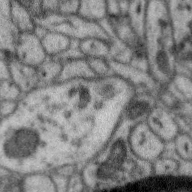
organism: Zebra finch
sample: Brain